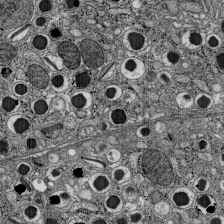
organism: C57BL Mouse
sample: Pancreatic islet